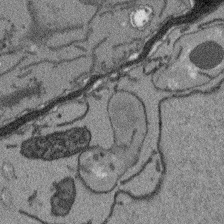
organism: Arabidopsis thaliana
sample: Root tip